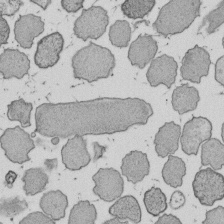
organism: E. coli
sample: Bacterial nucleoid